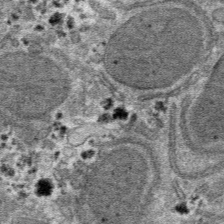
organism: Mouse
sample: Mouse hepatocytes